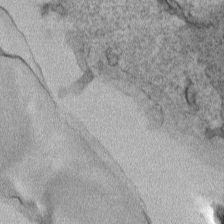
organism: Human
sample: Mitochondria in HCT116 cells